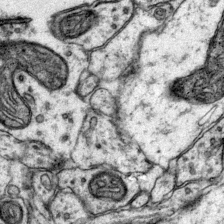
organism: Mouse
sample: Primary visual cortex